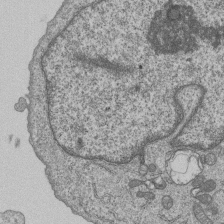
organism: Human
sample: MDA-MB-231 cells